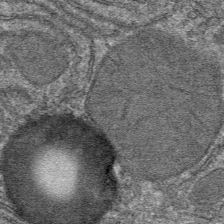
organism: Mouse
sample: Mouse hepatocytes